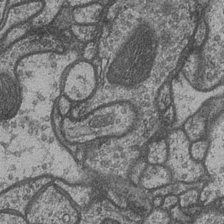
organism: Drosophila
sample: Optic medulla